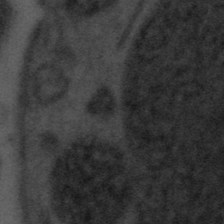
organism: Tuwongella immobilis